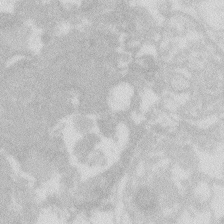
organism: Zebrafish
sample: Macrophage